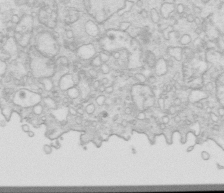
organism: Mouse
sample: Multiciliated cells